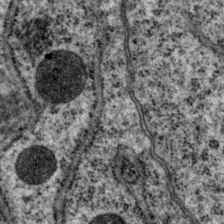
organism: P. pacificus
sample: Pharynx